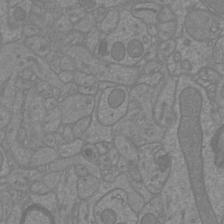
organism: Mouse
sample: Cortical neurons